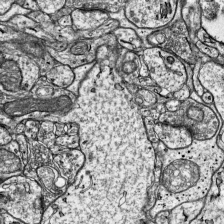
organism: Mouse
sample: Visual Cortex